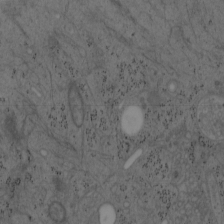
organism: Mouse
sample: OT-I killer T cells with ID8 ovarian cancer cells